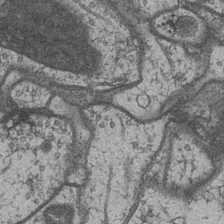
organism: Drosophila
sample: Optic medulla